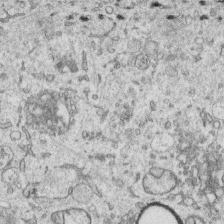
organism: Human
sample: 1205lu cells